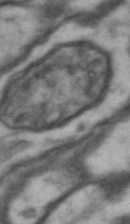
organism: Drosophila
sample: Brain